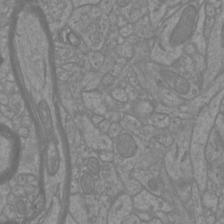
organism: Mouse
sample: Cortical neurons